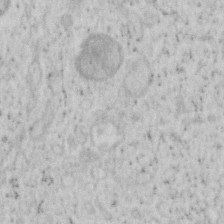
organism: Human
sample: HeLa cells